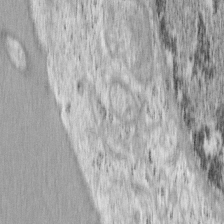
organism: Human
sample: HeLa cells